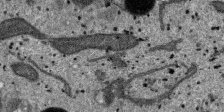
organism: Human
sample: Lung epithelial cells, uninfected (mock) control